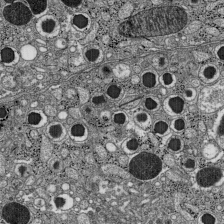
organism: C57BL Mouse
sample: Pancreatic islet